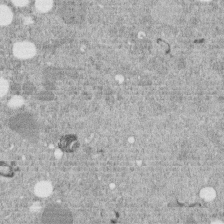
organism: C. elegans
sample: C. elegans embryo early stage